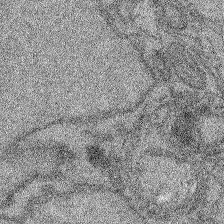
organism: Human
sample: HeLa cells